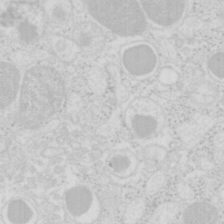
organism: Mouse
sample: Pancreas